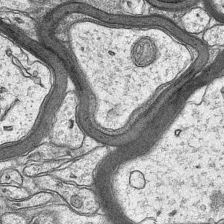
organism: Mouse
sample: CA1 Hippocampus